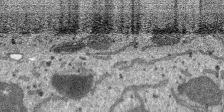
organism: Human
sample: Lung epithelial cells infected with SARS-CoV-2